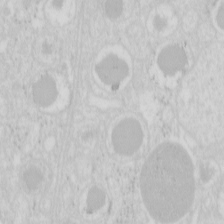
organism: Mouse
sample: Pancreas